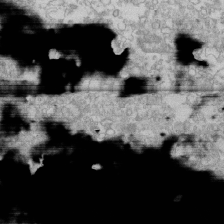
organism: Human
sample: CRL-1474